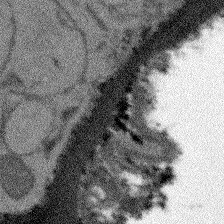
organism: Arabidopsis thaliana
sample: Root tip